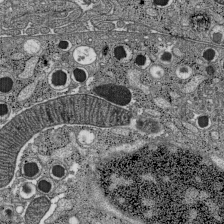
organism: C57BL Mouse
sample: Pancreatic islet